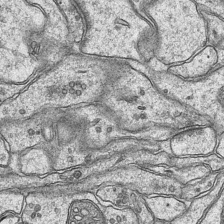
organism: Mouse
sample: CA1 Hippocampus